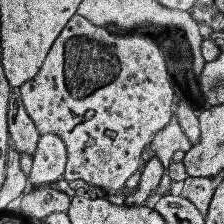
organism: Human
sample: Temporal Lobe